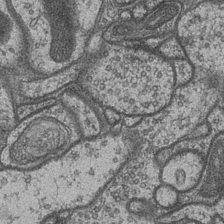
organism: Drosophila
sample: Optic medulla